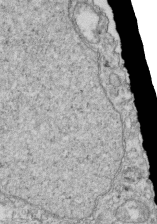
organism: Human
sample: HeLa cell HIV synapse